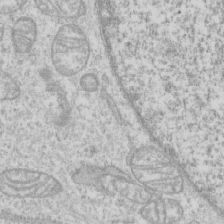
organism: Human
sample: CRL-1474